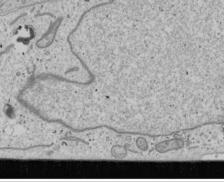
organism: Human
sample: Mitochondria in U2OS cells